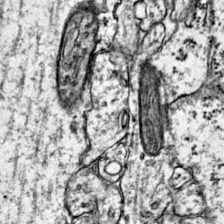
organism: Mouse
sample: Primary visual cortex